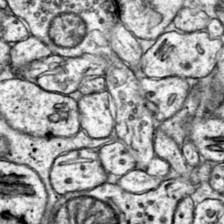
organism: Mouse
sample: Primary visual cortex